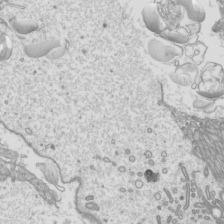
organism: Mouse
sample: Cilia; mouse epididymis